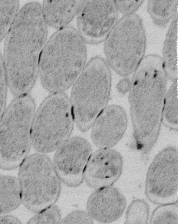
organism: E. coli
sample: Bacterial nucleoid